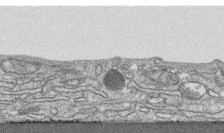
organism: Human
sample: CRL-1474